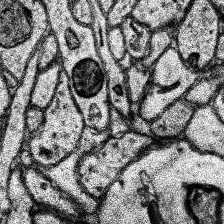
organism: Human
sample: Temporal Lobe